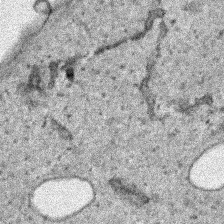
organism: Human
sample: Mitochondria in HCT116 cells